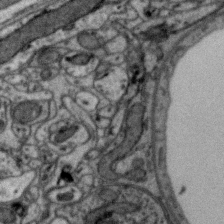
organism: Zebra finch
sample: Brain